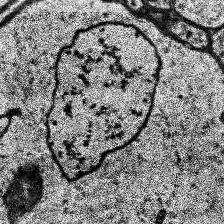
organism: Human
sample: Temporal Lobe